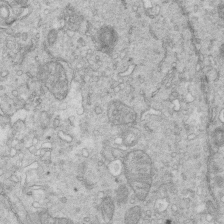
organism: Mouse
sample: Multiciliated cells